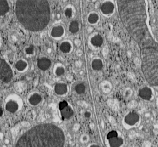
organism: C57BL Mouse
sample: Pancreatic islet